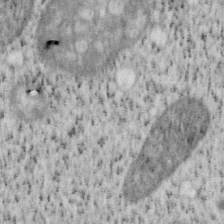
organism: Mouse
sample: OT-I killer T cells with ID8 ovarian cancer cells